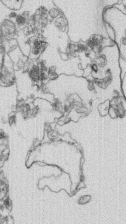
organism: Human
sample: HeLa cell HIV synapse